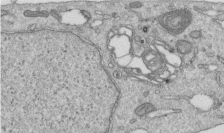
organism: Human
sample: Centriole in RPE cells